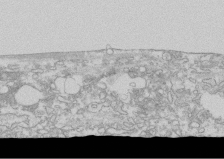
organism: Human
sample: CRL-1474